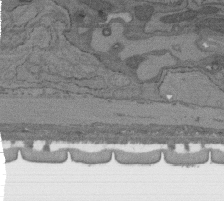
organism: C. elegans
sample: AFD neurons C. elegans